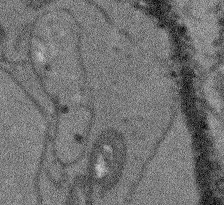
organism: Arabidopsis thaliana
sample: Root tip